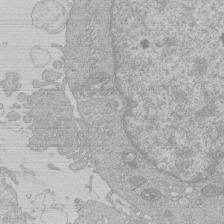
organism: Human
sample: Macrophage cells